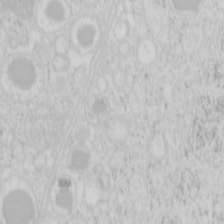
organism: Mouse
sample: Pancreas